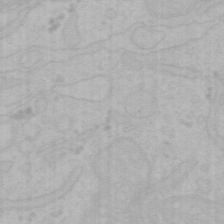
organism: Mouse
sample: Choroid plexus